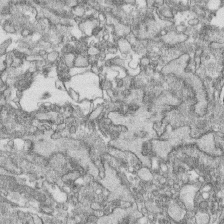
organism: Human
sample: CRL-1474